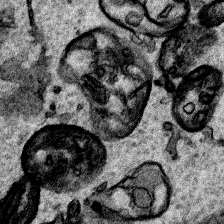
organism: Human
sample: Mitochondria in HCT116 cells